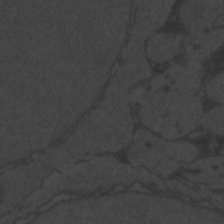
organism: Zebrafish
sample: Macrophage infected with Toxoplasma gondii